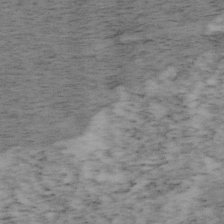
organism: Mouse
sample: OT-I killer T cells with ID8 ovarian cancer cells